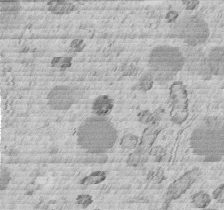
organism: C. elegans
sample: C. elegans embryo early stage